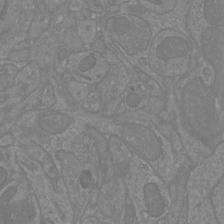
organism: Mouse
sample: Cortical neurons